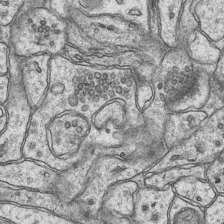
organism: Mouse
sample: CA1 Hippocampus